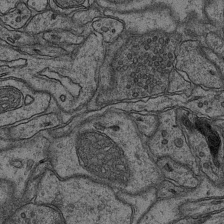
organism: Mouse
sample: CA1 Hippocampus